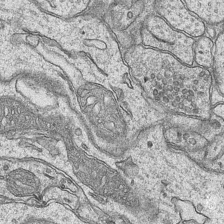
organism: Mouse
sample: CA1 Hippocampus